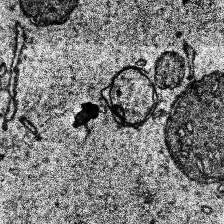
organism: Human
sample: Temporal Lobe